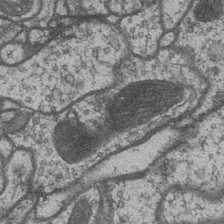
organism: Drosophila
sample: Optic medulla